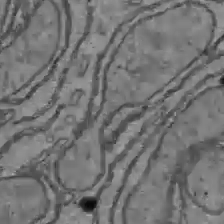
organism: C57BL Mouse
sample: Liver